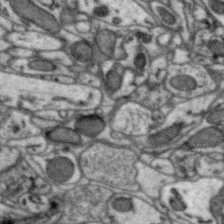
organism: Zebra finch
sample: Brain